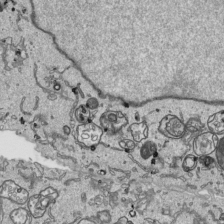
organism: Human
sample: Mitochondria in HCT116 cells